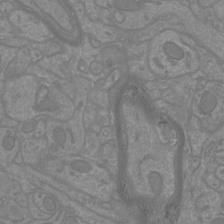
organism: Mouse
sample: Cortical neurons